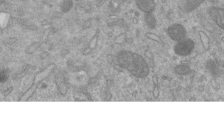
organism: Mouse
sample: ED-1 cell nuclei; centrioles